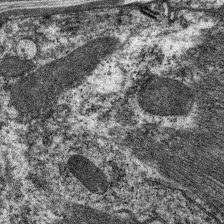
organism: C. elegans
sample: Pharynx